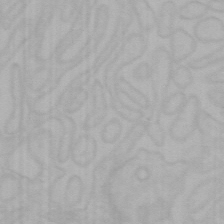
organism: Mouse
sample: Choroid plexus